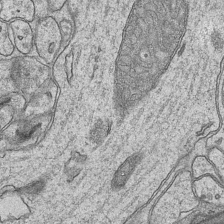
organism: Mouse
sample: CA1 Hippocampus